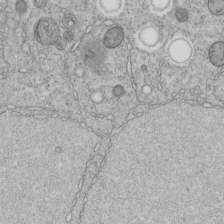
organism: C. elegans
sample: C. elegans embryo early stage